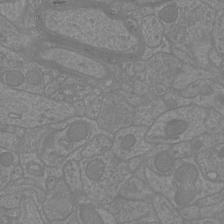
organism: Mouse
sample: Cortical neurons